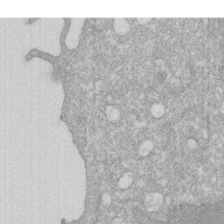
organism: Human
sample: HIV infected U937 cells